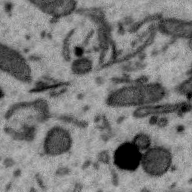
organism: Zebra finch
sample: Brain